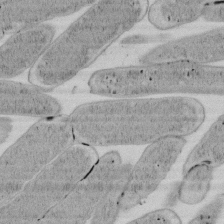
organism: E. coli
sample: Bacterial nucleoid